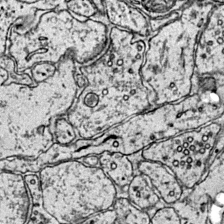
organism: Mouse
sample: Primary visual cortex